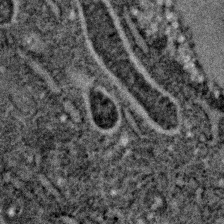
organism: C. elegans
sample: C. elegans embryo